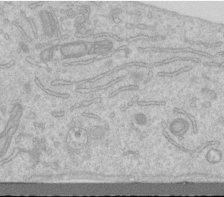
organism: Human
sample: Centriole in RPE cells